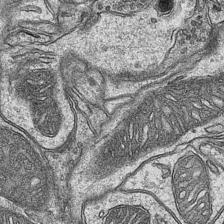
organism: Mouse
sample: CA1 Hippocampus